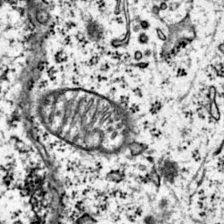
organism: Mouse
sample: Primary visual cortex